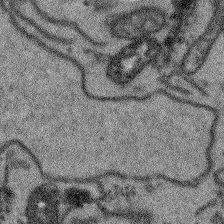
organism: Arabidopsis thaliana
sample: Root tip